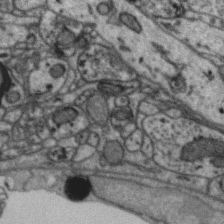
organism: Zebra finch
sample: Brain